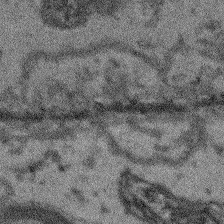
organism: Arabidopsis thaliana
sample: Root tip